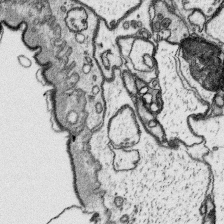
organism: Platynereis dumerilii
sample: Parapodia